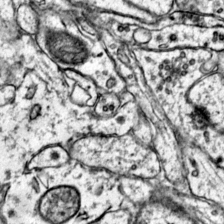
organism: Mouse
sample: Primary visual cortex